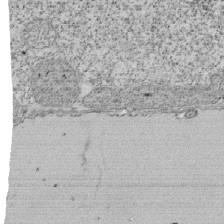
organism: Tetrahymena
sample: Cilia in tetrahymena